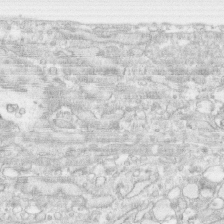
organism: Human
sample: CRL-1474